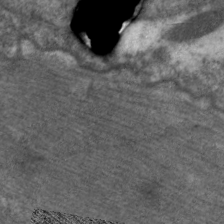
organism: C. elegans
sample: Pharynx